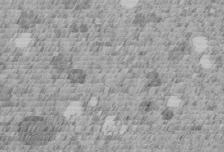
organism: C. elegans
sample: C. elegans embryo early stage